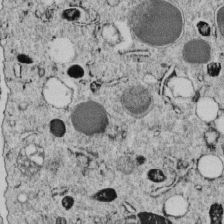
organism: C. elegans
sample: C. elegans embryo early stage